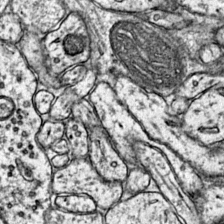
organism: Mouse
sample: Primary visual cortex